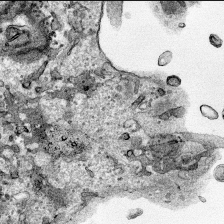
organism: Human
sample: Mitochondria in HCT116 cells